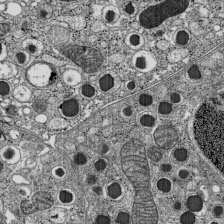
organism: C57BL Mouse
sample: Pancreatic islet